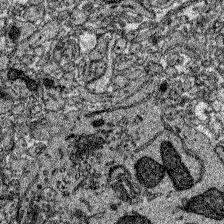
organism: Zebrafish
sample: Larval olfactory bulb